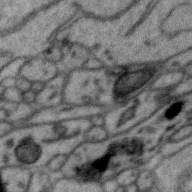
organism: Zebra finch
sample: Brain